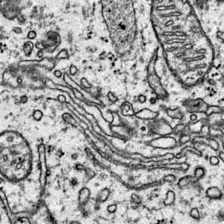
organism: Mouse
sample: Primary visual cortex